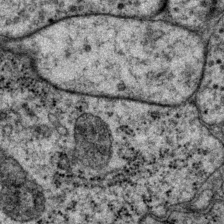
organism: P. pacificus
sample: Pharynx